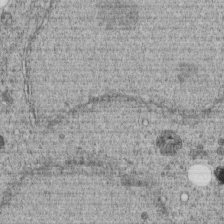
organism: C. elegans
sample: C. elegans embryo early stage